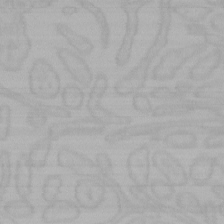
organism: Mouse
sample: Choroid plexus